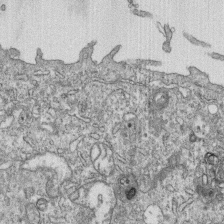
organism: Human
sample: HeLa cell HIV synapse